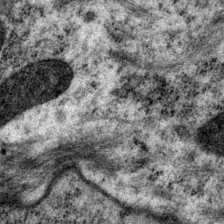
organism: P. pacificus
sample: Pharynx